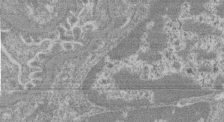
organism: Mouse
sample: Glomerulus